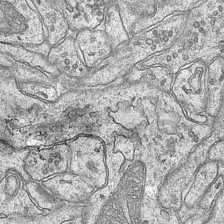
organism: Mouse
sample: CA1 Hippocampus